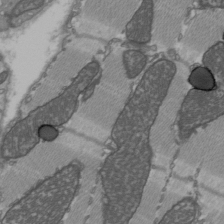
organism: C57BL Mouse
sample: Heart